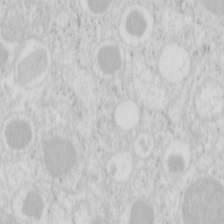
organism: Mouse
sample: Pancreas